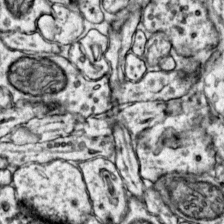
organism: Mouse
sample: Primary visual cortex